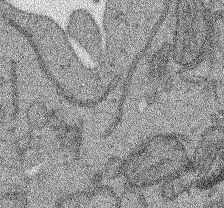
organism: Human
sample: HeLa cells